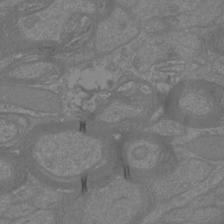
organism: Mouse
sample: Cortical neurons